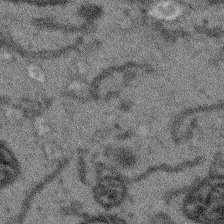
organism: Arabidopsis thaliana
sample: Root tip